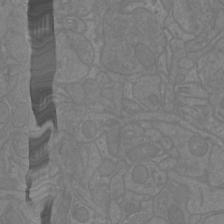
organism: Mouse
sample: Cortical neurons